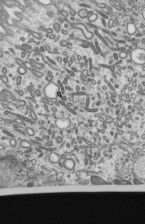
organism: Mouse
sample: Mouse epididymis efferent ductule cilia